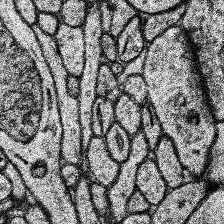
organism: Human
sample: Temporal Lobe